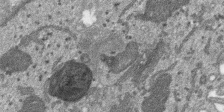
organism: Human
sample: Lung epithelial cells infected with SARS-CoV-2